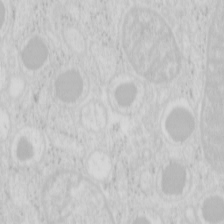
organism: Mouse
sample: Pancreas